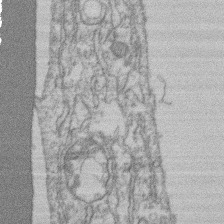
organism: Mouse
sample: T cell stromal cell synapse